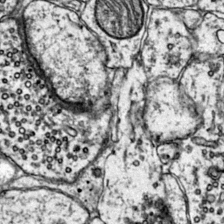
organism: Mouse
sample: Primary visual cortex